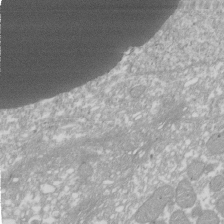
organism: Xenopus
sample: Cilia; centrioles in frog embryo cells